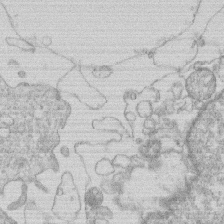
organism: Human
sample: Macrophage cells